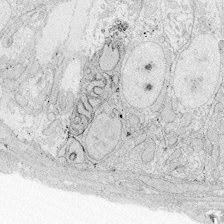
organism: Zebrafish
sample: Whole-Brain